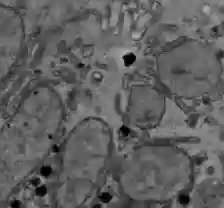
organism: C57BL Mouse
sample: Liver